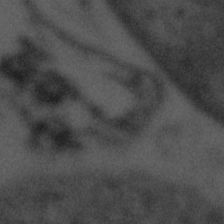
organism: Tuwongella immobilis